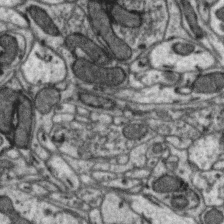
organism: Zebra finch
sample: Brain